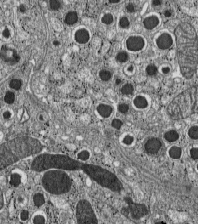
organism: C57BL Mouse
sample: Pancreatic islet